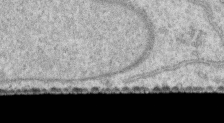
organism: Human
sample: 1205lu cells